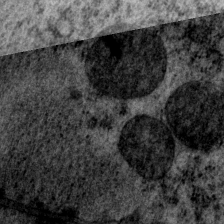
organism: P. pacificus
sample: Pharynx